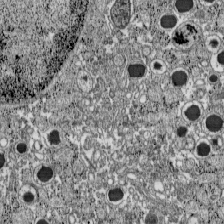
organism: C57BL Mouse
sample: Pancreatic islet